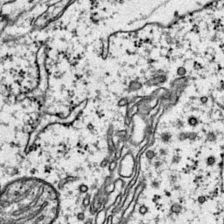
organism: Mouse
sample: Primary visual cortex